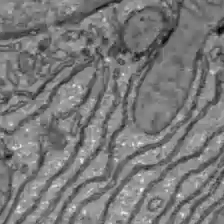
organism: C57BL Mouse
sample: Liver